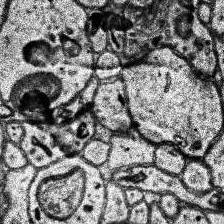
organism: Human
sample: Temporal Lobe